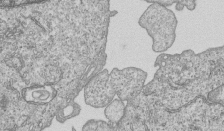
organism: Human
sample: MDA-MB-231 cells